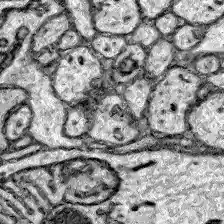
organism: Zebrafish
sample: Brain